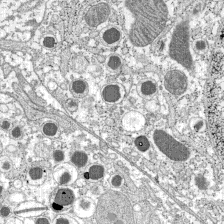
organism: C57BL Mouse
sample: Pancreatic islet